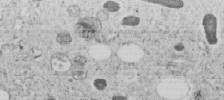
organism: C. elegans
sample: C. elegans embryo early stage